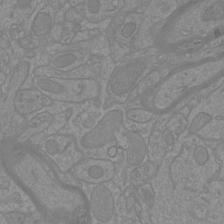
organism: Mouse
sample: Cortical neurons